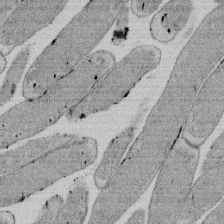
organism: E. coli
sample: Bacterial nucleoid